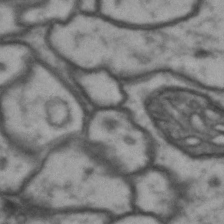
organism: Drosophila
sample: Brain